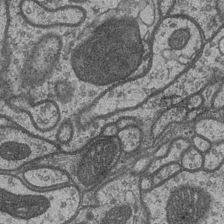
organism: Drosophila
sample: Optic medulla